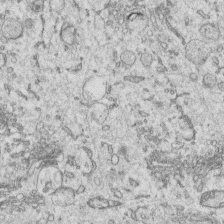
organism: Human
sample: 1205lu cells